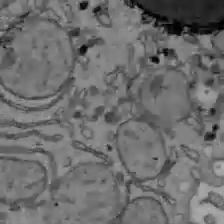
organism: C57BL Mouse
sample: Liver